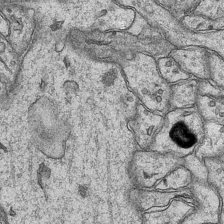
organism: Mouse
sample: CA1 Hippocampus